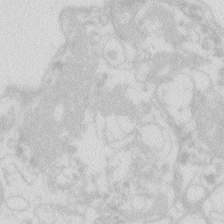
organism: Zebrafish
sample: Macrophage